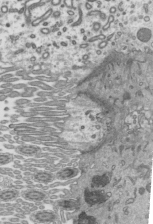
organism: Mouse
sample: Mouse epididymis efferent ductule cilia